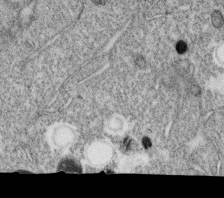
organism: C. elegans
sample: C. elegans oocyte; sperm cells